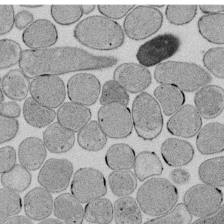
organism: E. coli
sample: Bacterial nucleoid